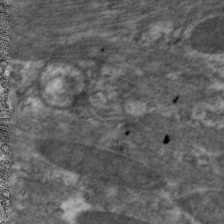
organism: C. elegans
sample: Pharynx